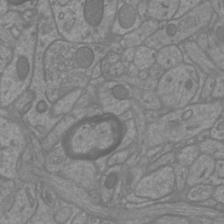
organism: Mouse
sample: Cortical neurons